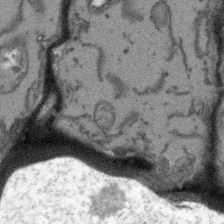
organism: Arabidopsis thaliana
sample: Root tip